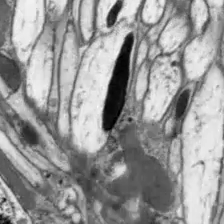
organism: Drosophila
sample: Optic lobe